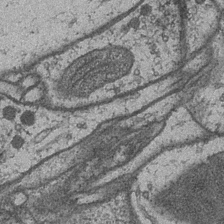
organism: Drosophila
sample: Optic medulla